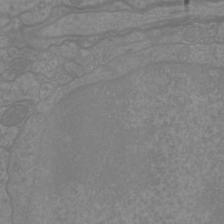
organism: Mouse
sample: Cortical neurons